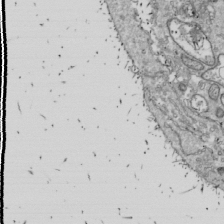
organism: Drosophila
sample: Cell division; meiosis; drosophila spermatocytes